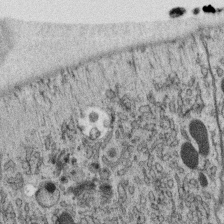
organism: C. elegans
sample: C. elegans oocyte; sperm cells